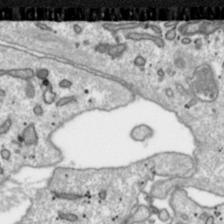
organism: Toxoplasma gondii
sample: Parasites in a vacuole inside a host cell